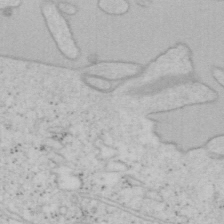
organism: Human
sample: HeLa cells